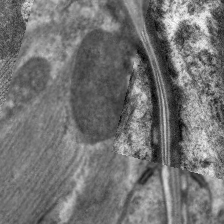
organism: C. elegans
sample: Pharynx